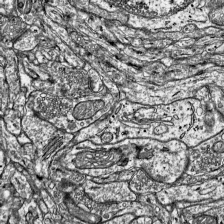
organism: Mouse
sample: Visual Cortex